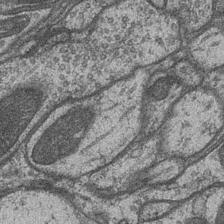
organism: Drosophila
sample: Optic medulla